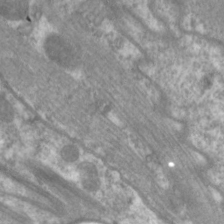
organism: C. elegans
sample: Pharynx